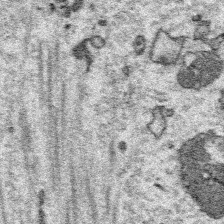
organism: Platynereis dumerilii